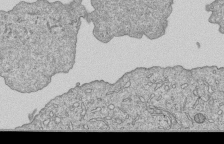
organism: Human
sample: MDA-MB-231 cells